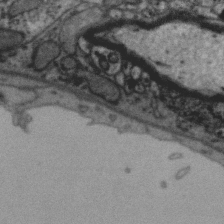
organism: Zebra finch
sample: Brain